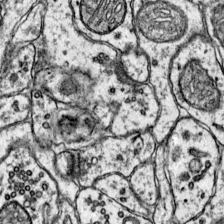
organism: Mouse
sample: Primary visual cortex